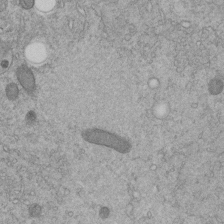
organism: C. elegans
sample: C. elegans embryo early stage